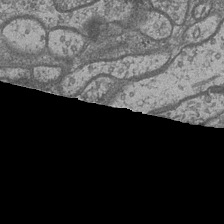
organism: Drosophila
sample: Optic medulla